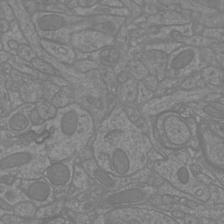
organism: Mouse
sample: Cortical neurons